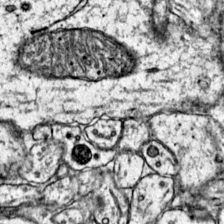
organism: Mouse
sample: Primary visual cortex